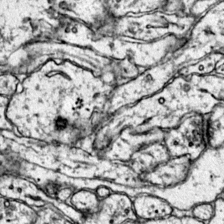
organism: Mouse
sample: Primary visual cortex